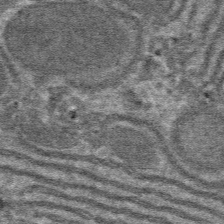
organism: Mouse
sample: Mouse hepatocytes